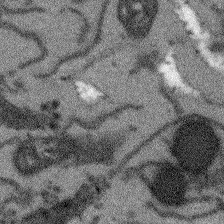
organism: Arabidopsis thaliana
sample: Root tip